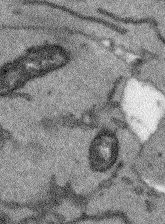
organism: Arabidopsis thaliana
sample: Root tip